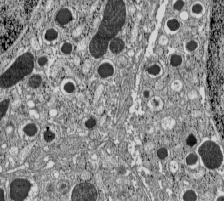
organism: C57BL Mouse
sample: Pancreatic islet